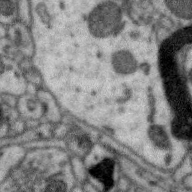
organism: Zebra finch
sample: Brain